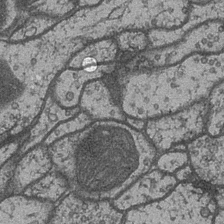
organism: Drosophila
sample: Optic medulla